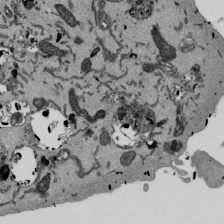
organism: Mouse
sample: ED-1 cell nuclei; centrioles